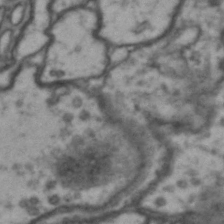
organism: Drosophila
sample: Brain